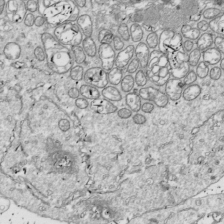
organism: Drosophila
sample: Cell division; meiosis; drosophila spermatocytes